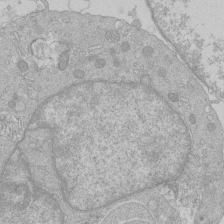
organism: Human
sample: Macrophage cells